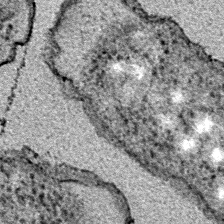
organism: E. coli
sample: E. Coli Bacteria